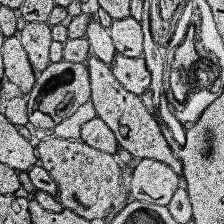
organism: Human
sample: Temporal Lobe